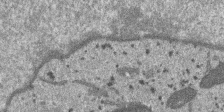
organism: Human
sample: Lung epithelial cells infected with SARS-CoV-2